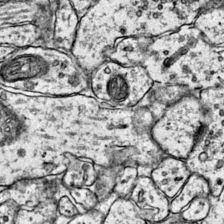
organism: Mouse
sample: Primary visual cortex